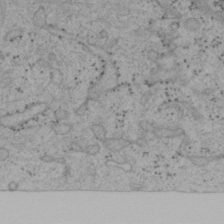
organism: Human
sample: HeLa cells